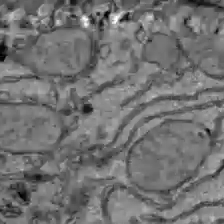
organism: C57BL Mouse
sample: Liver